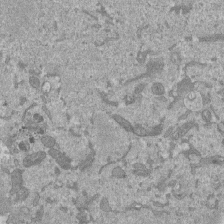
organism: Mouse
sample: ED-1 cell nuclei; centrioles